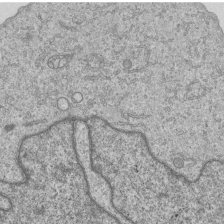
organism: Human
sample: MDA-MB-231 cells